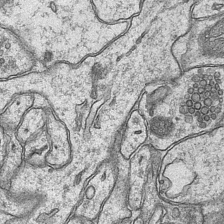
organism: Mouse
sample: CA1 Hippocampus